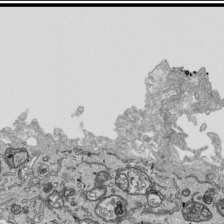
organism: Human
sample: Mitochondria in HCT116 cells